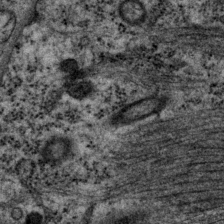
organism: P. pacificus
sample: Pharynx